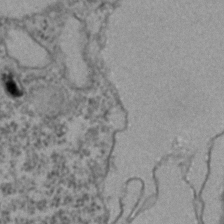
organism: Zebrafish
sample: Zebrafish embryo